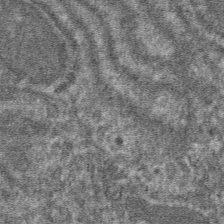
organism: Mouse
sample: Mouse hepatocytes